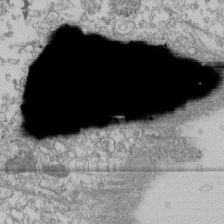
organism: Human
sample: Fibroblast cells